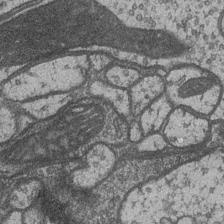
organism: Drosophila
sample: Optic medulla